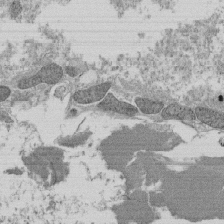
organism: Tetrahymena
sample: Cilia in tetrahymena